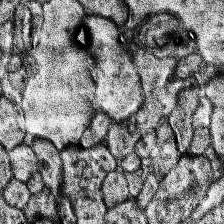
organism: Human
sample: Temporal Lobe